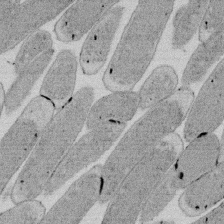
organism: E. coli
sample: Bacterial nucleoid